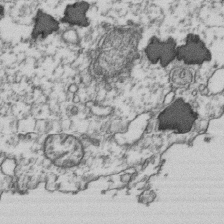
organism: Human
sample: Activated Jurkat CD4+ T cells